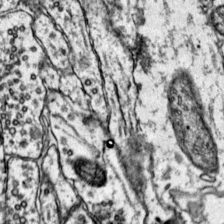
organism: Mouse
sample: Primary visual cortex